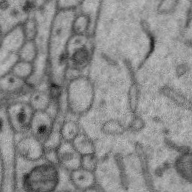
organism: Zebra finch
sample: Brain